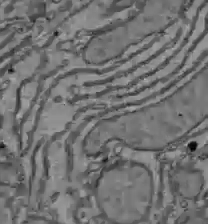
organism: C57BL Mouse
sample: Liver